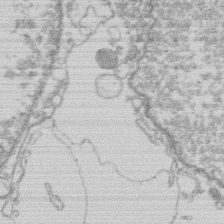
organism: Human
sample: Macrophage cells